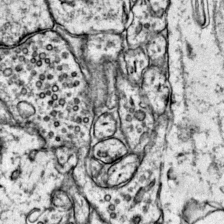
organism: Mouse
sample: Primary visual cortex